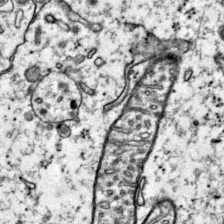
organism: Mouse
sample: Primary visual cortex